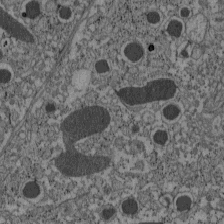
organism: C57BL Mouse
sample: Pancreatic islet